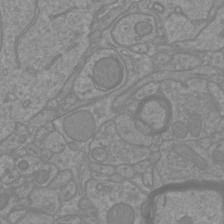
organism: Mouse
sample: Cortical neurons